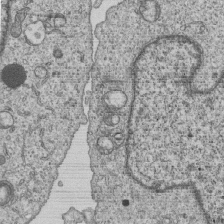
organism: Human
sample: MDA-MB-231 cells